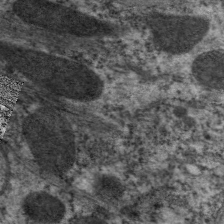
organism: C. elegans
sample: Pharynx